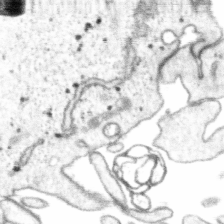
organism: Human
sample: HeLa cells